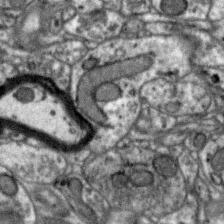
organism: Zebra finch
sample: Brain